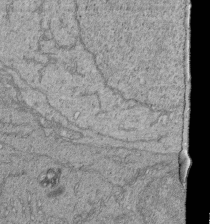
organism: Human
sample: Retinal organoid Rod and Cone cells